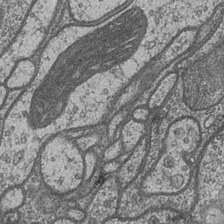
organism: Drosophila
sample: Optic medulla